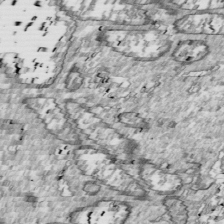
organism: Drosophila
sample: Cell division; meiosis; drosophila spermatocytes